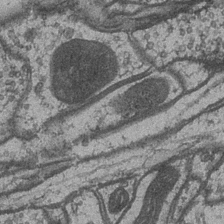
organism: Drosophila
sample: Optic medulla